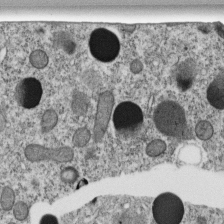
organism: C. elegans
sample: C. elegans embryo early stage